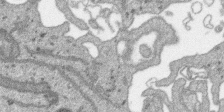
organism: Human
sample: Lung epithelial cells infected with SARS-CoV-2